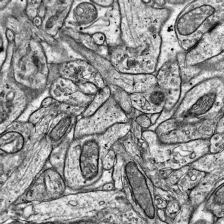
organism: Mouse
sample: Visual Cortex